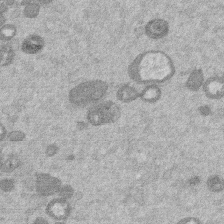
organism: Mouse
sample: Dividing mouse embryo 1 cell stage